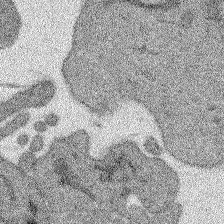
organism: Human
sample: HeLa cells